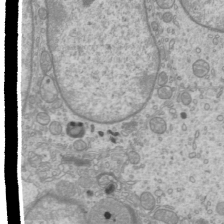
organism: Mouse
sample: Cilia; mouse epididymis